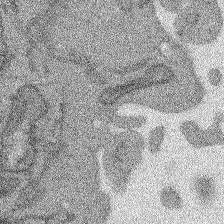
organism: Human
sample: HeLa cells